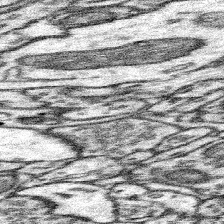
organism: Mouse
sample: Somatosensory cortex neuropil